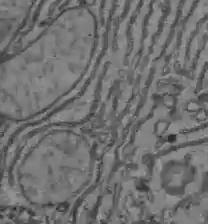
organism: C57BL Mouse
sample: Liver